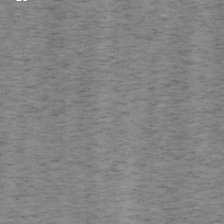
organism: Mouse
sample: OT-I killer T cells with ID8 ovarian cancer cells